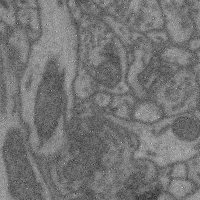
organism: Mouse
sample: Cerebral cortex